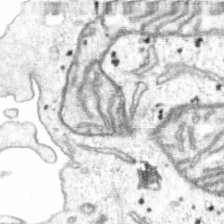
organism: Human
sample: HeLa cells